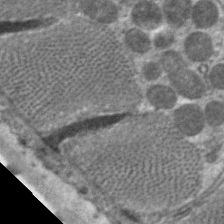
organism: C. elegans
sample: Pharynx